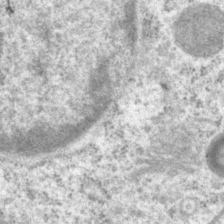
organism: P. pacificus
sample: Pharynx